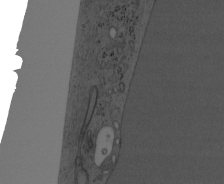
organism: Mouse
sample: OT-I killer T cells with ID8 ovarian cancer cells